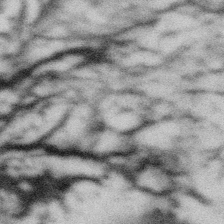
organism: Gemmata obscuriglobus